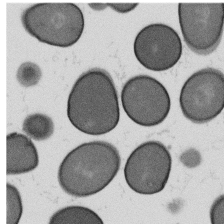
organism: B. subtilis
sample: Bacterial spore